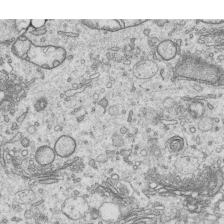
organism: Human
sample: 1205lu cells